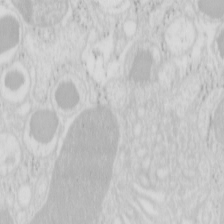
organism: Mouse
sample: Pancreas